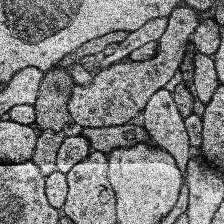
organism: Human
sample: Temporal Lobe